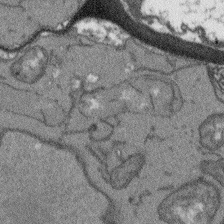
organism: Arabidopsis thaliana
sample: Root tip